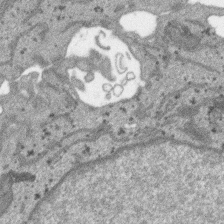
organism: Human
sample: Lung epithelial cells infected with SARS-CoV-2